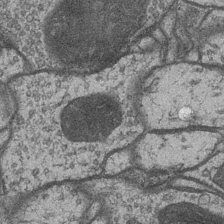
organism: Drosophila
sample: Optic medulla